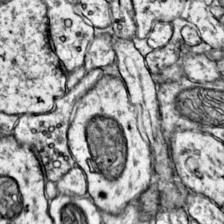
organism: Mouse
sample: Primary visual cortex